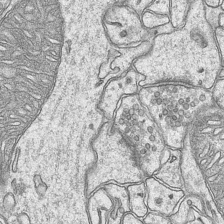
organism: Mouse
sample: CA1 Hippocampus